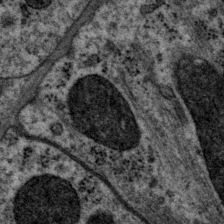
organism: P. pacificus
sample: Pharynx